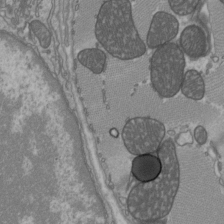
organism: C57BL Mouse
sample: Heart